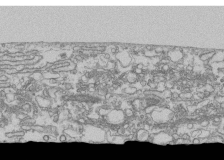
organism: Human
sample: Fibroblast cells